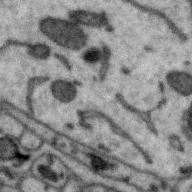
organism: Zebra finch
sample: Brain